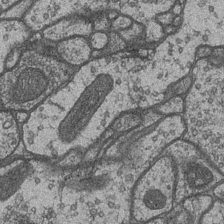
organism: Drosophila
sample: Optic medulla